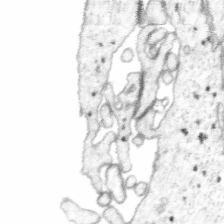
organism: Human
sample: HeLa cells